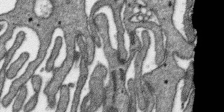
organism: Human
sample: Lung epithelial cells, uninfected (mock) control